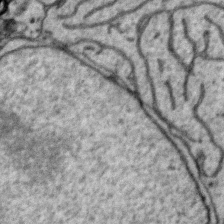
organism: Zebra finch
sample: Brain